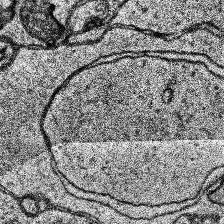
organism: Human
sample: Temporal Lobe